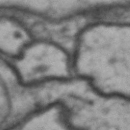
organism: Drosophila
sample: Brain